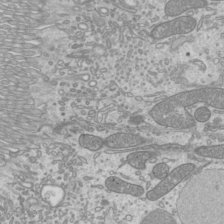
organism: Mouse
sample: Cilia; mouse epididymis